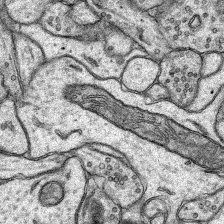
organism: Rat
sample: Hippocampus